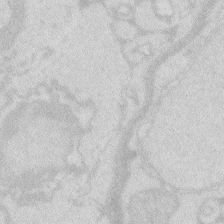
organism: Zebrafish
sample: Macrophage